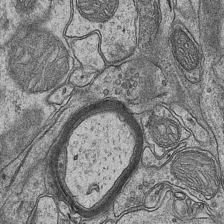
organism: Mouse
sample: CA1 Hippocampus